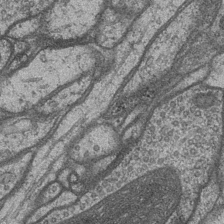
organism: Drosophila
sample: Optic medulla